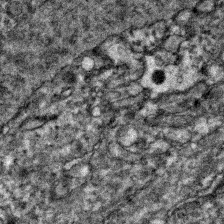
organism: Zebrafish